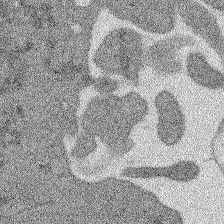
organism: Human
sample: HeLa cells